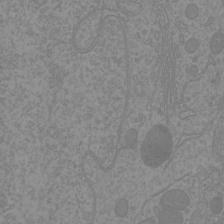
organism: Mouse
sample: Cortical neurons